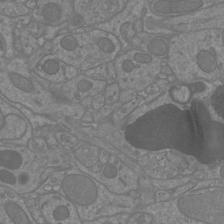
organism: Mouse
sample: Cortical neurons